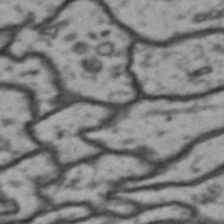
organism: Drosophila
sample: Brain